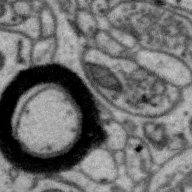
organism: Zebra finch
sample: Brain